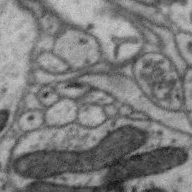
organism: Zebra finch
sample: Brain